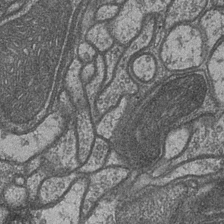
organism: Drosophila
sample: Optic medulla